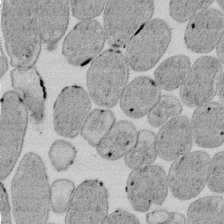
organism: E. coli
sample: Bacterial nucleoid